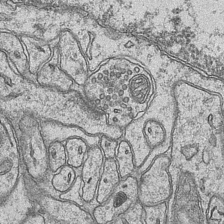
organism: Mouse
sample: CA1 Hippocampus